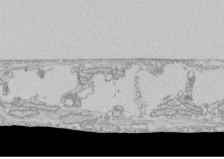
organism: Human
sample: CRL-1474